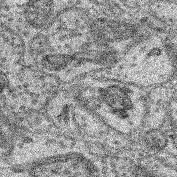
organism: Mouse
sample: Retina